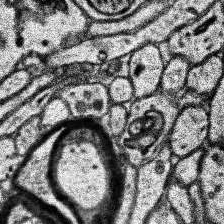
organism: Human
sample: Temporal Lobe